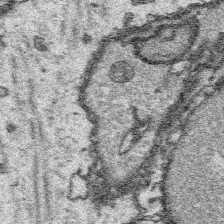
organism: Platynereis dumerilii